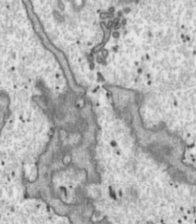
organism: Toxoplasma gondii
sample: Parasites in a vacuole inside a host cell